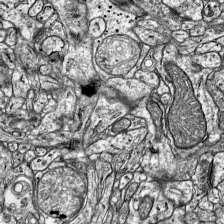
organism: Mouse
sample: Visual Cortex